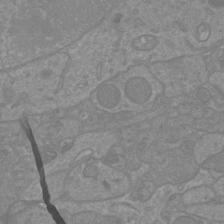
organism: Mouse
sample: Cortical neurons